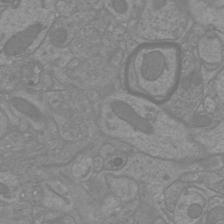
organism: Mouse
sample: Cortical neurons